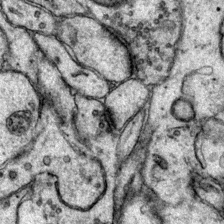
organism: Mouse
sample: Primary visual cortex